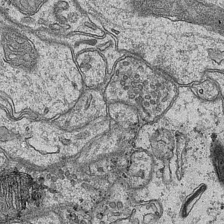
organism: Mouse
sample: CA1 Hippocampus